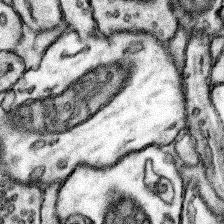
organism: Mouse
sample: Somatosensory cortex neuropil